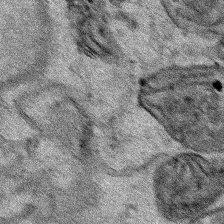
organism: Human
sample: Mitochondria in HCT116 cells